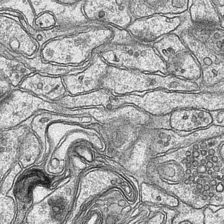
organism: Mouse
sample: CA1 Hippocampus